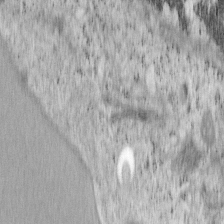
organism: Human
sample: HeLa cells